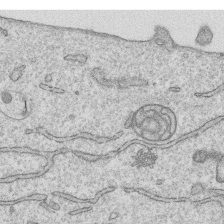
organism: Human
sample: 1205lu cells